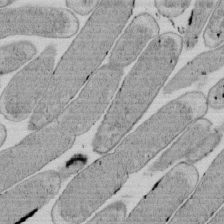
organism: E. coli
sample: Bacterial nucleoid